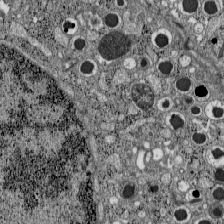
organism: C57BL Mouse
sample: Pancreatic islet